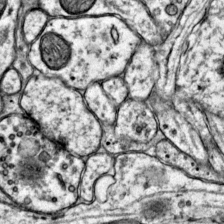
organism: Mouse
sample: Primary visual cortex